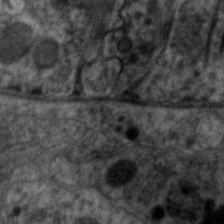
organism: C. elegans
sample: Pharynx